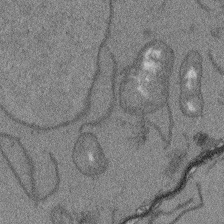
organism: Arabidopsis thaliana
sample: Root tip